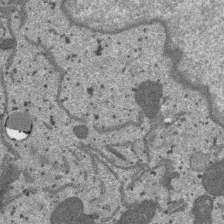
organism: Human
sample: Lung epithelial cells infected with SARS-CoV-2